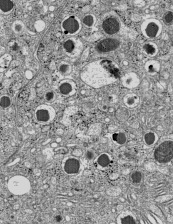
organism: C57BL Mouse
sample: Pancreatic islet